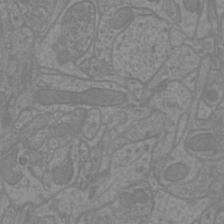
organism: Mouse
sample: Cortical neurons